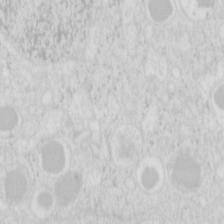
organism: Mouse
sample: Pancreas